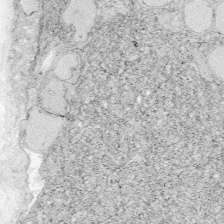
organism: Zebrafish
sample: Whole-Brain